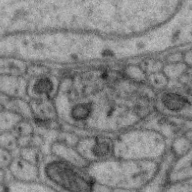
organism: Zebra finch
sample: Brain